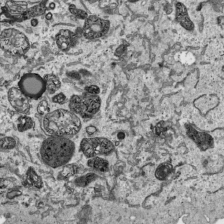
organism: Human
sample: Mitochondria in HCT116 cells